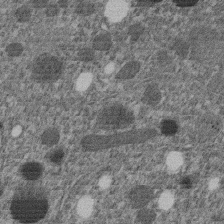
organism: C. elegans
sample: C. elegans embryo early stage